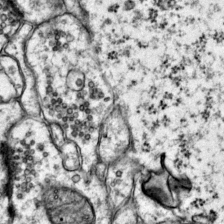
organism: Mouse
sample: Primary visual cortex